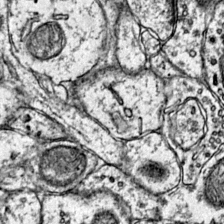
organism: Mouse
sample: Primary visual cortex